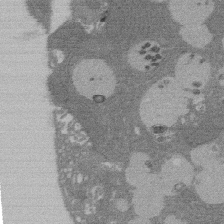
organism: Rat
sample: Salivary granule